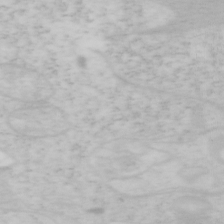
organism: Mouse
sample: OT-I killer T cells with ID8 ovarian cancer cells